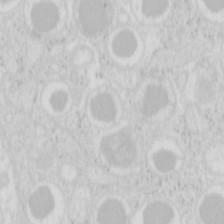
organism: Mouse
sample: Pancreas